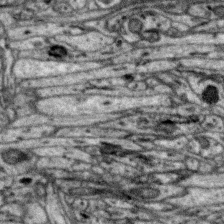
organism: Zebra finch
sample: Brain